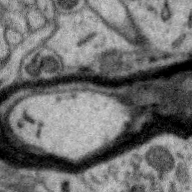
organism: Zebra finch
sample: Brain